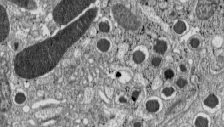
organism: C57BL Mouse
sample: Pancreatic islet